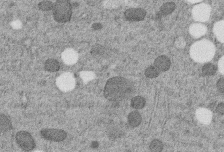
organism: C. elegans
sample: C. elegans embryo early stage